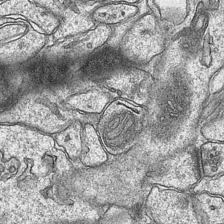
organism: Mouse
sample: CA1 Hippocampus